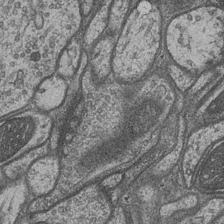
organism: Drosophila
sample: Optic medulla